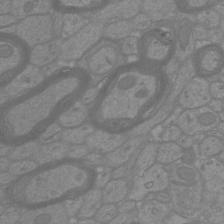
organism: Mouse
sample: Cortical neurons